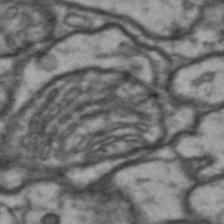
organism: Drosophila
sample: Brain